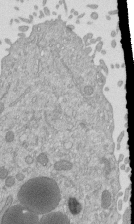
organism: Mouse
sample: ED-1 cell nuclei; centrioles